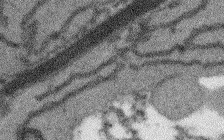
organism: Arabidopsis thaliana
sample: Root tip